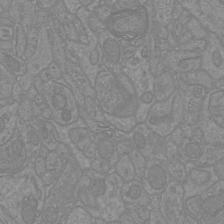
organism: Mouse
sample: Cortical neurons